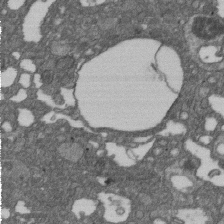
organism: Drosophila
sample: Nephrocyte